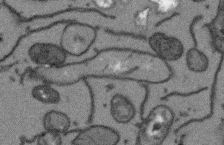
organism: Arabidopsis thaliana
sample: Root tip